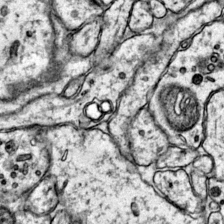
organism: Mouse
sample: Primary visual cortex